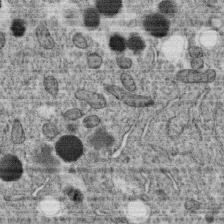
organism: C. elegans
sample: C. elegans oocyte; sperm cells